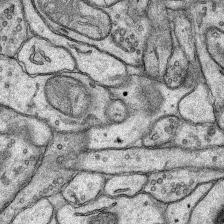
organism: Rat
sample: Hippocampus